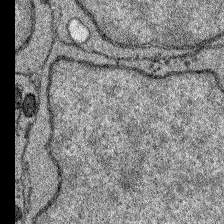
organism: Zebrafish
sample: Larval olfactory bulb